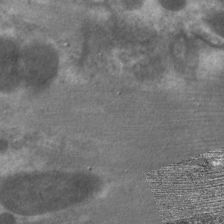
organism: C. elegans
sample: Pharynx